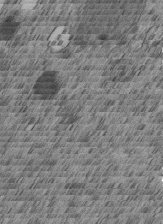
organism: C. elegans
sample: C. elegans embryo early stage